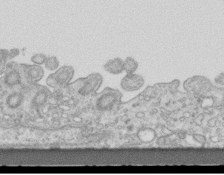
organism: Mouse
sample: Centriole in ependymal cells